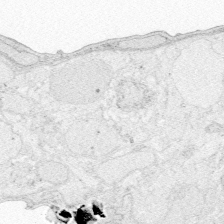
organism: Zebrafish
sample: Whole-Brain